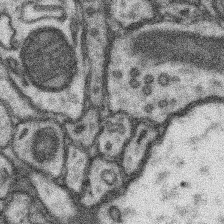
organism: Mouse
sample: Somatosensory cortex neuropil